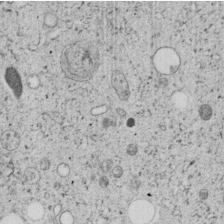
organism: C. elegans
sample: C. elegans embryo early stage